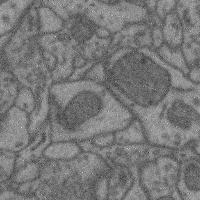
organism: Mouse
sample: Cerebral cortex